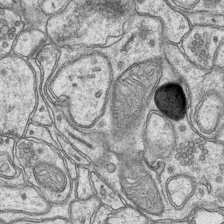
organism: Mouse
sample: CA1 Hippocampus